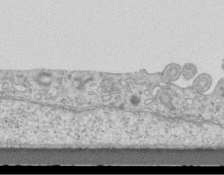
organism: Mouse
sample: Centriole in ependymal cells